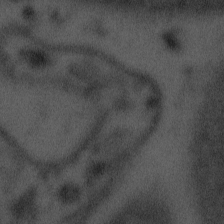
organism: Tuwongella immobilis